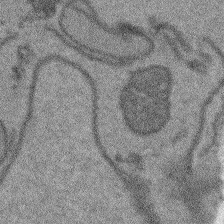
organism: Arabidopsis thaliana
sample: Root tip